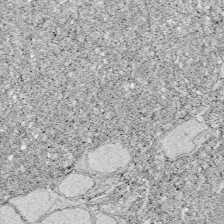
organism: Zebrafish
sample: Whole-Brain